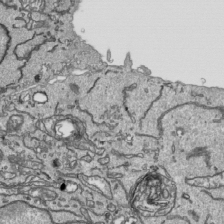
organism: Human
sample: Mitochondria in HCT116 cells